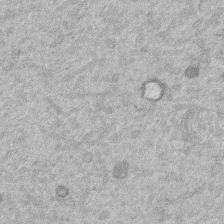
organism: Mouse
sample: Dividing mouse embryo 1 cell stage